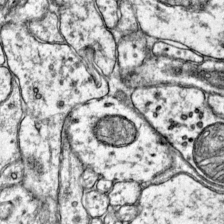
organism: Mouse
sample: Primary visual cortex